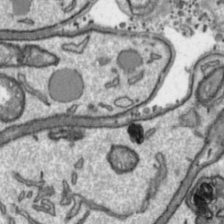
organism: Toxoplasma gondii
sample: Parasites in a vacuole inside a host cell